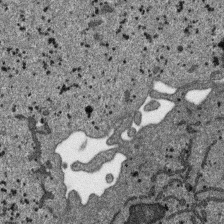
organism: Human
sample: Lung epithelial cells infected with SARS-CoV-2